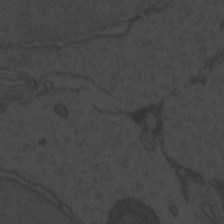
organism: Zebrafish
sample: Macrophage infected with Toxoplasma gondii